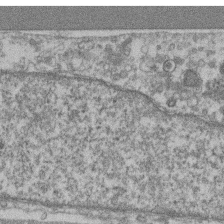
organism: Mouse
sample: T cell stromal cell synapse